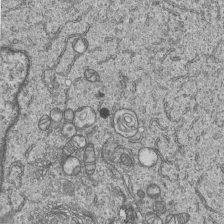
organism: Human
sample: MDA-MB-231 cells